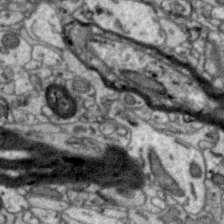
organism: Zebra finch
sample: Brain